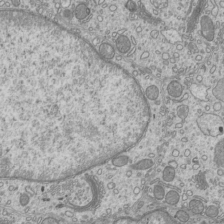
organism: Mouse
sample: Cilia; mouse epididymis